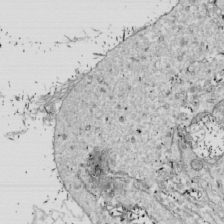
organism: Drosophila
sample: Cell division; meiosis; drosophila spermatocytes